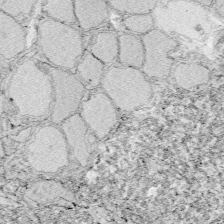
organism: Zebrafish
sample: Whole-Brain